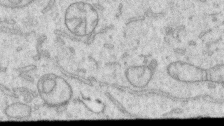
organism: Human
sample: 1205lu cells